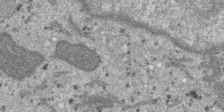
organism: Human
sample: Lung epithelial cells infected with SARS-CoV-2